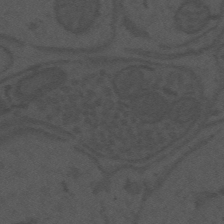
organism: Mouse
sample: Suprachiasmatic nucleus